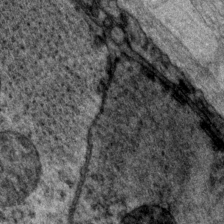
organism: P. pacificus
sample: Pharynx